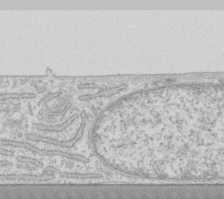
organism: Human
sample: Fibroblast cells